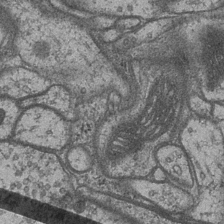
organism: Drosophila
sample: Optic medulla